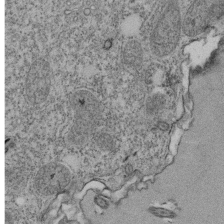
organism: Tetrahymena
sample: Cilia in tetrahymena